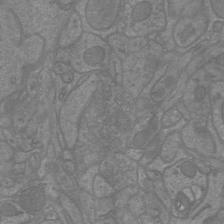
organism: Mouse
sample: Cortical neurons